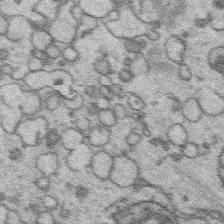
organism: Platynereis dumerilii